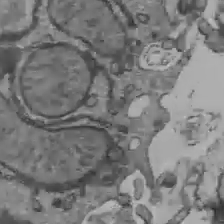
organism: C57BL Mouse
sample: Liver